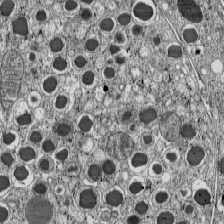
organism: C57BL Mouse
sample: Pancreatic islet